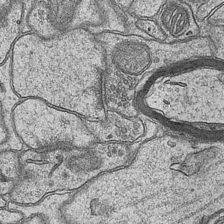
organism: Mouse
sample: CA1 Hippocampus